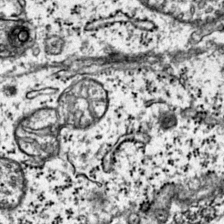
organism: Mouse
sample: Primary visual cortex